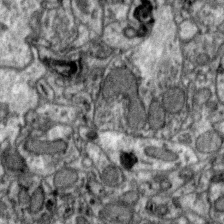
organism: Zebra finch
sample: Brain